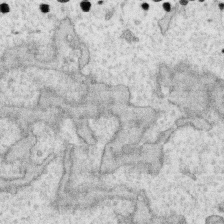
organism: Human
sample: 1205lu cells